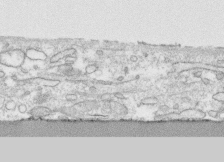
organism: Human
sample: CRL-1474